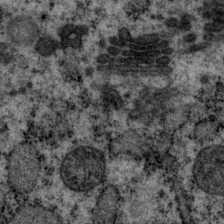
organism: P. pacificus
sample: Pharynx